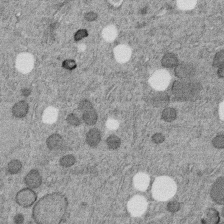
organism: C. elegans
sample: C. elegans embryo early stage